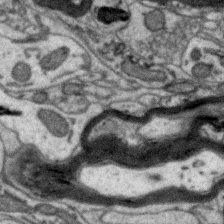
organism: Zebra finch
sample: Brain